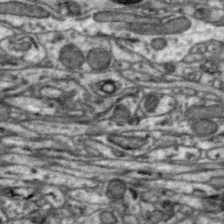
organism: Zebra finch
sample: Brain